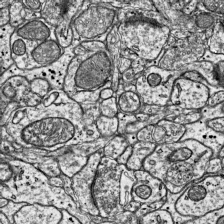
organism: Mouse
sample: Visual Cortex